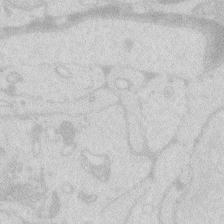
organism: Zebrafish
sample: Macrophage